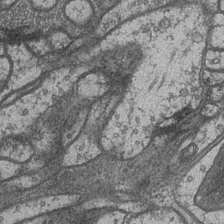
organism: Drosophila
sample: Optic medulla